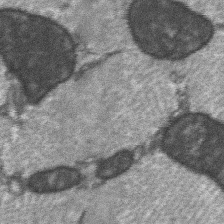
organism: C57BL Mouse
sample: Soleus